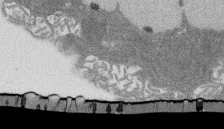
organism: Rat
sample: Salivary granule